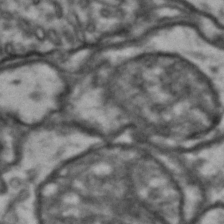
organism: Drosophila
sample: Brain